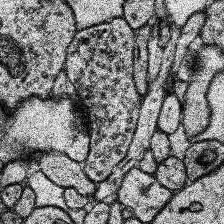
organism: Human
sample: Temporal Lobe